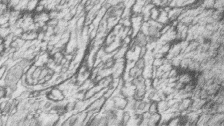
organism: Zebrafish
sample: synaptic ribbons in rod cells and cone cells